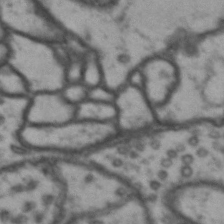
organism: Drosophila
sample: Brain